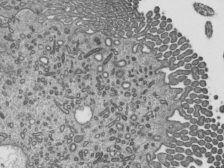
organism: Mouse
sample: Mouse epididymis efferent ductule cilia